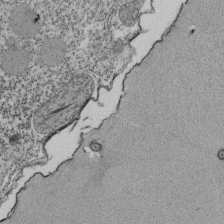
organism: Tetrahymena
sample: Cilia in tetrahymena